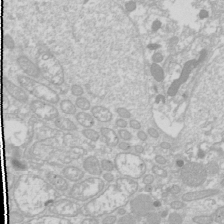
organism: Drosophila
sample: Cell division; meiosis; drosophila spermatocytes